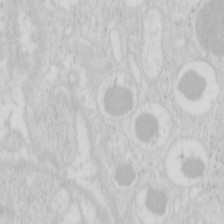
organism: Mouse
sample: Pancreas